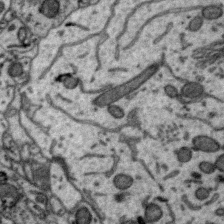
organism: Zebra finch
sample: Brain